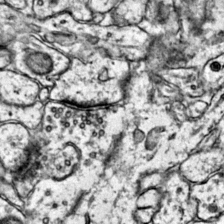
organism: Mouse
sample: Primary visual cortex